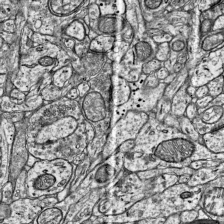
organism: Mouse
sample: Visual Cortex